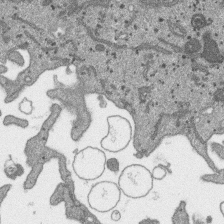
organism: Human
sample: Lung epithelial cells infected with SARS-CoV-2